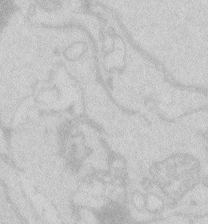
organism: Zebrafish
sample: Macrophage